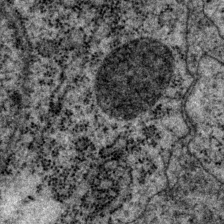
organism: P. pacificus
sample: Pharynx